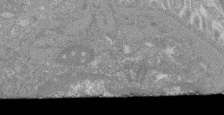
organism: Mouse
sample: Glomerulus